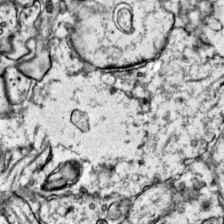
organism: Mouse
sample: Primary visual cortex